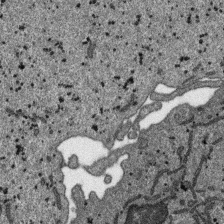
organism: Human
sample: Lung epithelial cells infected with SARS-CoV-2